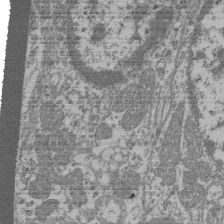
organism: Mouse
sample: Glomerulus